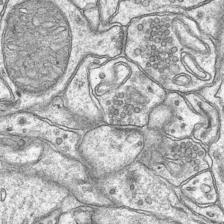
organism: Mouse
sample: CA1 Hippocampus